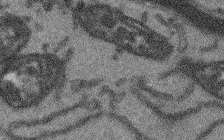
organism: Arabidopsis thaliana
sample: Root tip